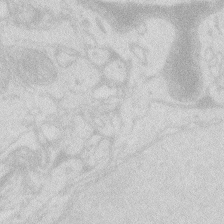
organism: Zebrafish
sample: Macrophage